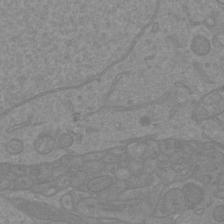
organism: Mouse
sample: Cortical neurons